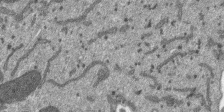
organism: Human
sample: Lung epithelial cells infected with SARS-CoV-2